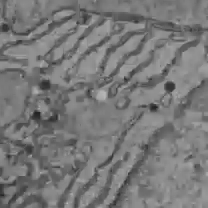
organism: C57BL Mouse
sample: Liver